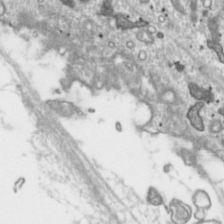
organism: Toxoplasma gondii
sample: Parasites in a vacuole inside a host cell